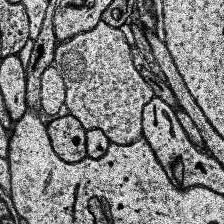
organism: Human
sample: Temporal Lobe